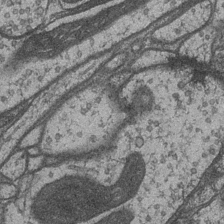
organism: Drosophila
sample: Optic medulla